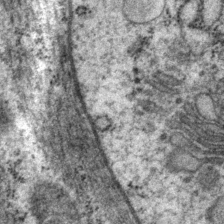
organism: P. pacificus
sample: Pharynx